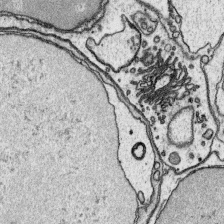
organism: Platynereis dumerilii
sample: Parapodia